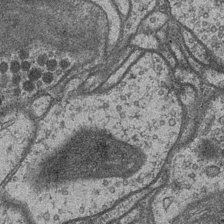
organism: Drosophila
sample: Optic medulla